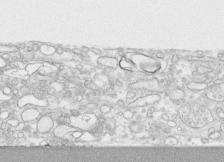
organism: Human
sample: CRL-1474